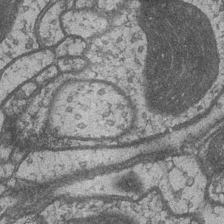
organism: Drosophila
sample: Optic medulla